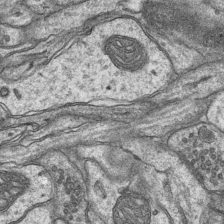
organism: Mouse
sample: CA1 Hippocampus